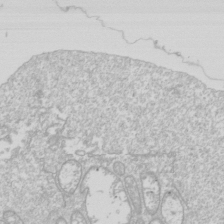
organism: Drosophila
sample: Cell division; meiosis; drosophila spermatocytes